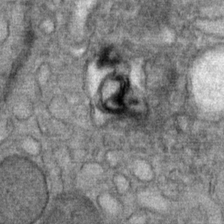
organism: Mouse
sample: Mouse Salivary gland